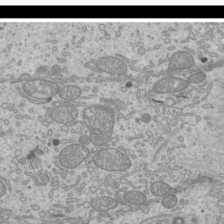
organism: Mouse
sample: Cilia; mouse epididymis